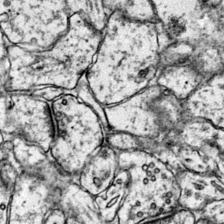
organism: Mouse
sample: Primary visual cortex